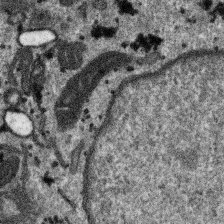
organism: Human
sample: Lung epithelial cells infected with SARS-CoV-2